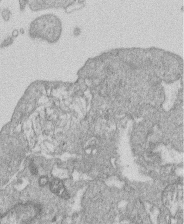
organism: Human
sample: Macrophage cells